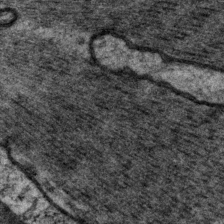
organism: P. pacificus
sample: Pharynx